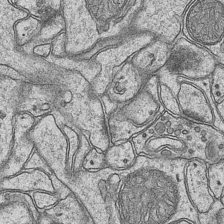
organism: Mouse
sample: CA1 Hippocampus